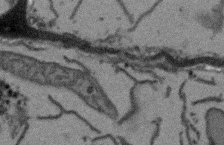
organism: Arabidopsis thaliana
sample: Root tip